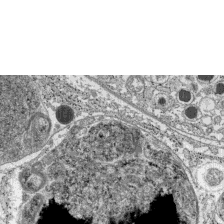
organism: C57BL Mouse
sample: Pancreatic islet